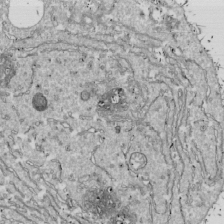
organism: Drosophila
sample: Cell division; meiosis; drosophila spermatocytes